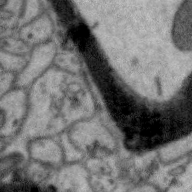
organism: Zebra finch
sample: Brain